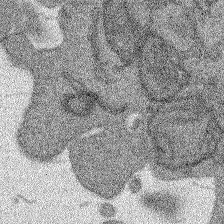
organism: Human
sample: HeLa cells